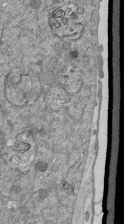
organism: Mouse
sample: ED-1 cell nuclei; centrioles